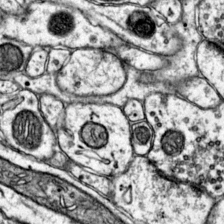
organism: Mouse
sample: Primary visual cortex